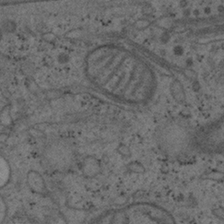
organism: Human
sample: HeLa cells